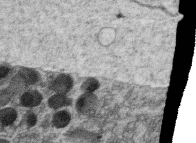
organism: C. elegans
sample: C. elegans oocyte; sperm cells